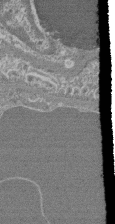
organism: Mouse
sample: Glomerulus